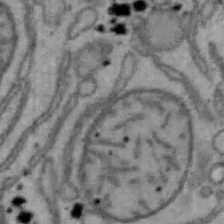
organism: Mouse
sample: Liver